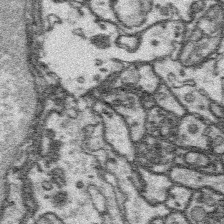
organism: Platynereis dumerilii